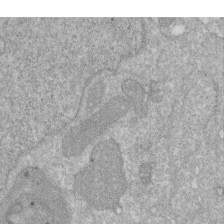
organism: Human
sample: HIV infected U937 cells